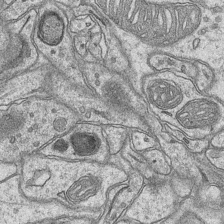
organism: Mouse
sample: CA1 Hippocampus